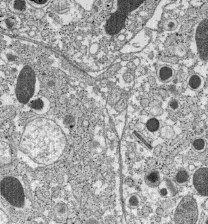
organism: C57BL Mouse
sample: Pancreatic islet